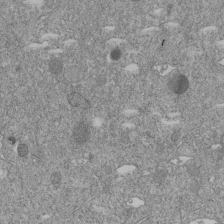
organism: C. elegans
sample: C. elegans embryo early stage